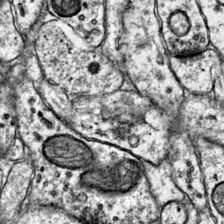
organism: Mouse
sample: Primary visual cortex